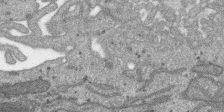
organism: Human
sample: Lung epithelial cells infected with SARS-CoV-2